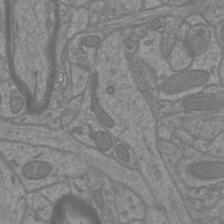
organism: Mouse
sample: Cortical neurons